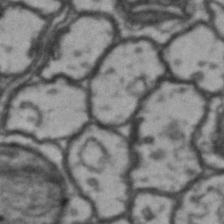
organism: Drosophila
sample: Brain